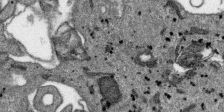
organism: Human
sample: Lung epithelial cells, uninfected (mock) control